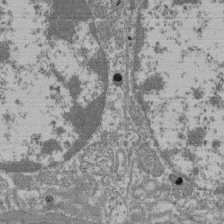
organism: Mouse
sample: Glomerulus